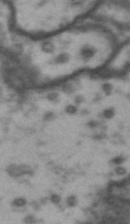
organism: Drosophila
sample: Brain